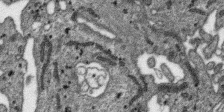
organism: Human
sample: Lung epithelial cells infected with SARS-CoV-2